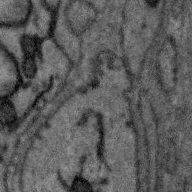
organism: Zebra finch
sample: Brain